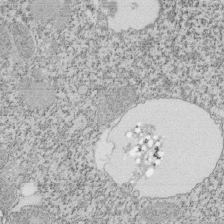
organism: Tetrahymena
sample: Cilia in tetrahymena